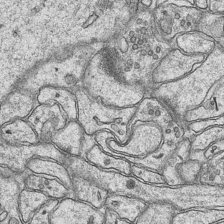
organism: Mouse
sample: CA1 Hippocampus